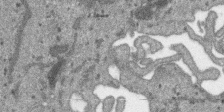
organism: Human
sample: Lung epithelial cells infected with SARS-CoV-2